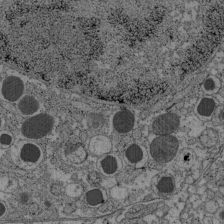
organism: C57BL Mouse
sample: Pancreatic islet